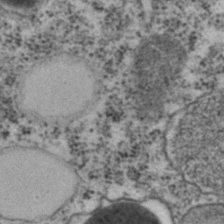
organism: C. elegans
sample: C. elegans embryo